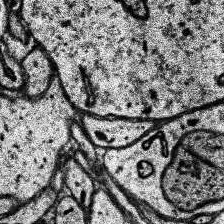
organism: Human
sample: Temporal Lobe